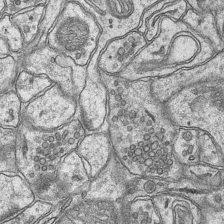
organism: Mouse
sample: CA1 Hippocampus